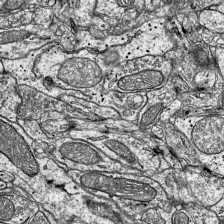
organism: Mouse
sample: Visual Cortex